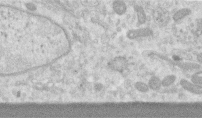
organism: Human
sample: Centriole in RPE cells